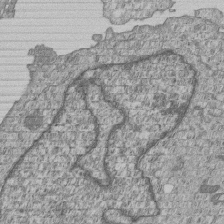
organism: Human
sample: MDA-MB-231 cells